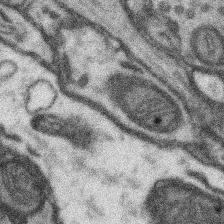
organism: Mouse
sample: Somatosensory cortex neuropil